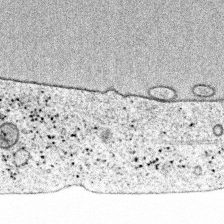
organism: Human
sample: HeLa cells